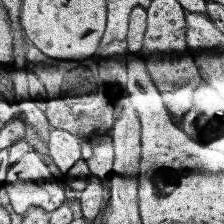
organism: Human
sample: Temporal Lobe